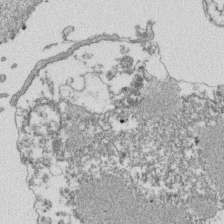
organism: Human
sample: HeLa cell HIV synapse